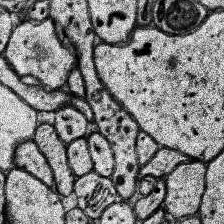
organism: Human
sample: Temporal Lobe